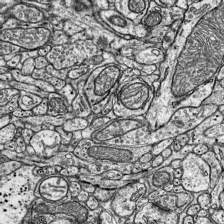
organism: Mouse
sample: Visual Cortex